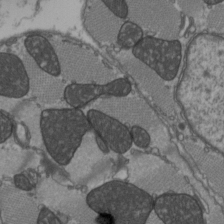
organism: C57BL Mouse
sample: Heart